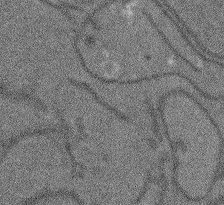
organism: Arabidopsis thaliana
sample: Root tip